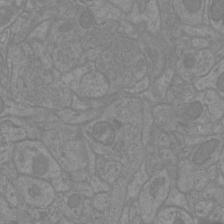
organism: Mouse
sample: Cortical neurons